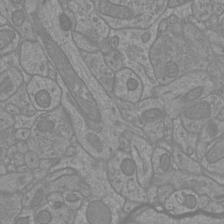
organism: Mouse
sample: Cortical neurons